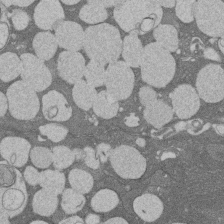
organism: Rat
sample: Salivary granule